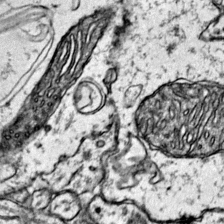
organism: Mouse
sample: Primary visual cortex